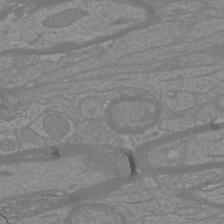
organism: Mouse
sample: Cortical neurons